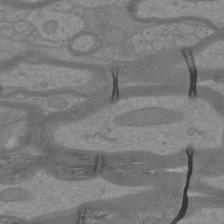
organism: Mouse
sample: Cortical neurons